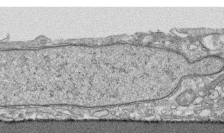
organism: Human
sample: CRL-1474